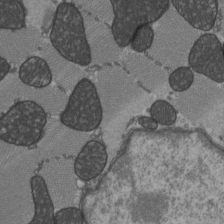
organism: C57BL Mouse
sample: Heart